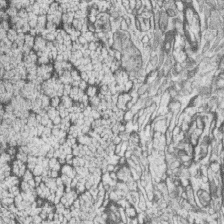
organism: Zebrafish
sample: synaptic ribbons in rod cells and cone cells